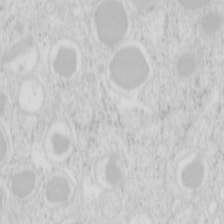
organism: Mouse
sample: Pancreas